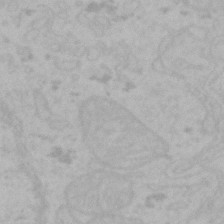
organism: Mouse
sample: Choroid plexus